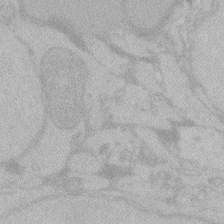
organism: Zebrafish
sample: Macrophage infected with Toxoplasma gondii